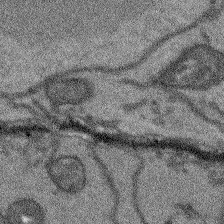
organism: Arabidopsis thaliana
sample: Root tip